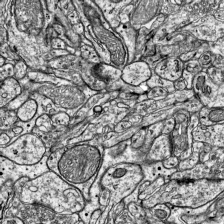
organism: Mouse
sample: Visual Cortex